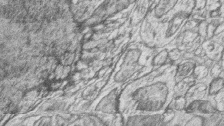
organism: Zebrafish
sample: synaptic ribbons in rod cells and cone cells